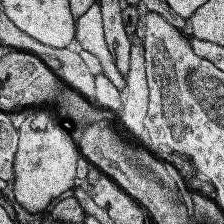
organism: Human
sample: Temporal Lobe